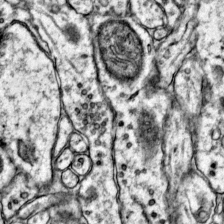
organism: Mouse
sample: Primary visual cortex